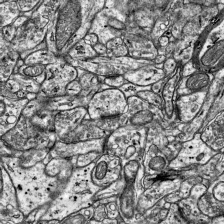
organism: Mouse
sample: Visual Cortex